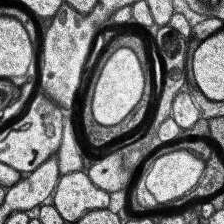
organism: Human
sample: Temporal Lobe